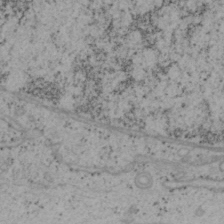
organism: Human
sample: HeLa cells